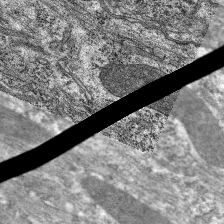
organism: C. elegans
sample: Pharynx